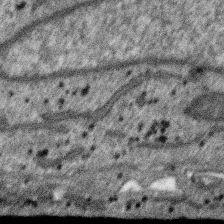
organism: Human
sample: Lung epithelial cells infected with SARS-CoV-2